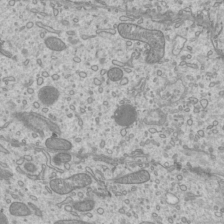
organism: Mouse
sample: Cilia; mouse epididymis